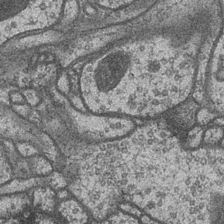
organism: Drosophila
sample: Optic medulla